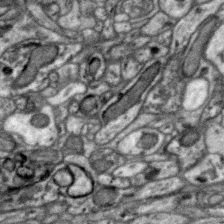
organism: Zebra finch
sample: Brain